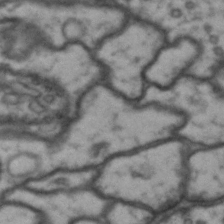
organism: Drosophila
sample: Brain